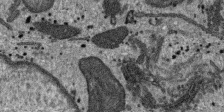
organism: Human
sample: Lung epithelial cells, uninfected (mock) control